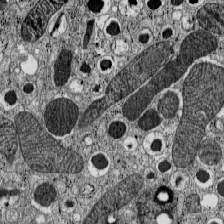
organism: C57BL Mouse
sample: Pancreatic islet